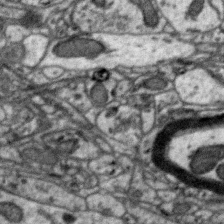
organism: Zebra finch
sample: Brain